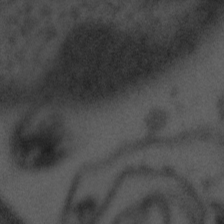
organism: Tuwongella immobilis